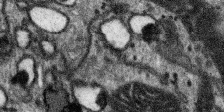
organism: Human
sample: Lung epithelial cells infected with SARS-CoV-2